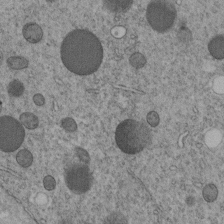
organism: C. elegans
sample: C. elegans embryo early stage